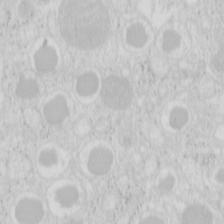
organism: Mouse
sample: Pancreas